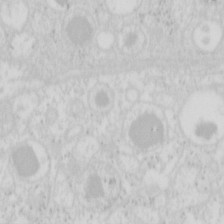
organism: Mouse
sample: Pancreas